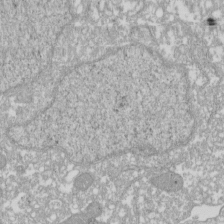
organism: Xenopus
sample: Cilia; centrioles in frog embryo cells